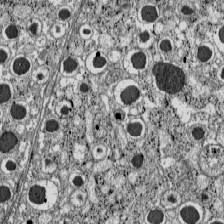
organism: C57BL Mouse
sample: Pancreatic islet